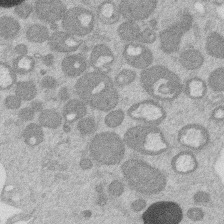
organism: Mouse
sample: Dividing mouse embryo 1 cell stage